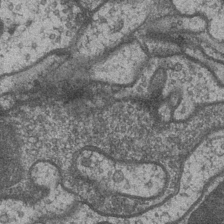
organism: Drosophila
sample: Optic medulla